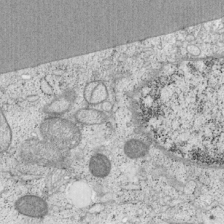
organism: African green monkey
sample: COS-7 cells